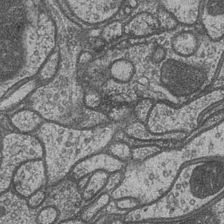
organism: Drosophila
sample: Optic medulla